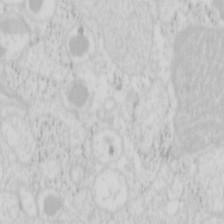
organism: Mouse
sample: Pancreas